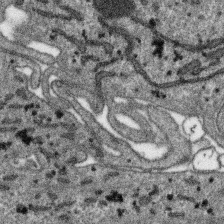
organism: Human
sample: Lung epithelial cells infected with SARS-CoV-2